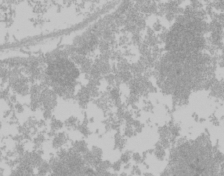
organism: Mouse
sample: Cancer cell death in ED-1 cells